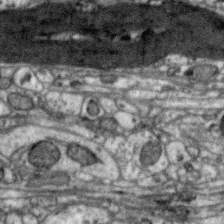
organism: Zebra finch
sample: Brain